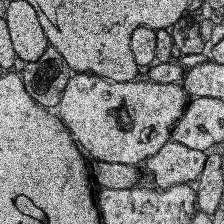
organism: Human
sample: Temporal Lobe